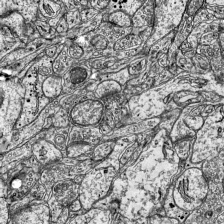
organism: Mouse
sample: Visual Cortex